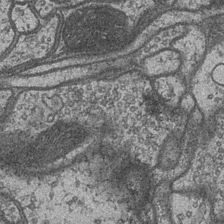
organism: Drosophila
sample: Optic medulla